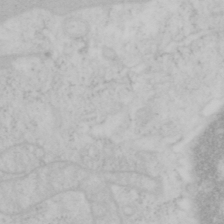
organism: Mouse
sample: OT-I killer T cells with ID8 ovarian cancer cells